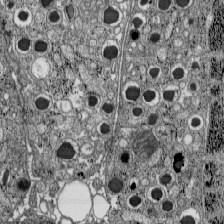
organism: C57BL Mouse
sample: Pancreatic islet